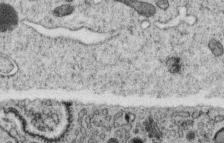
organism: C. elegans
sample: C. elegans oocyte; sperm cells